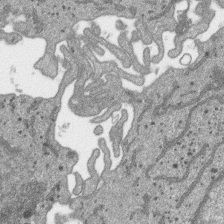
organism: Human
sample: Lung epithelial cells infected with SARS-CoV-2